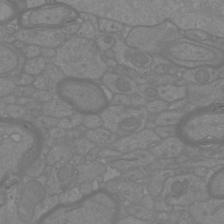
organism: Mouse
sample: Cortical neurons